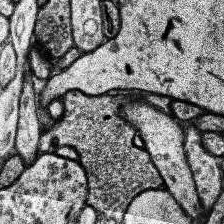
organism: Human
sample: Temporal Lobe